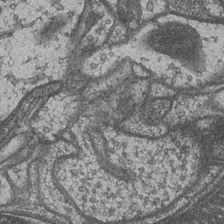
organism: Drosophila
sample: Optic medulla